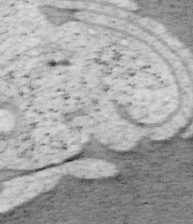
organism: Mouse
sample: OT-I killer T cells with ID8 ovarian cancer cells